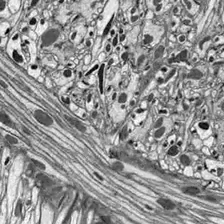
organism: Drosophila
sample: Optic lobe